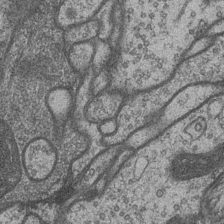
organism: Drosophila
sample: Optic medulla